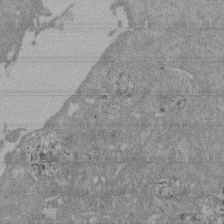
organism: Mouse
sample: ED-1 cell nuclei; centrioles